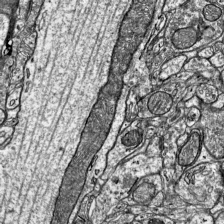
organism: Mouse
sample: Visual Cortex